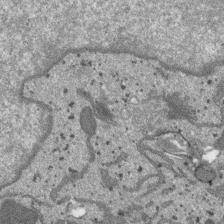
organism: Human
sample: Lung epithelial cells infected with SARS-CoV-2